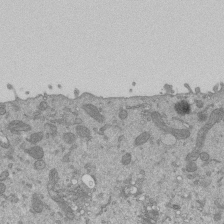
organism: Mouse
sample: ED-1 cell nuclei; centrioles